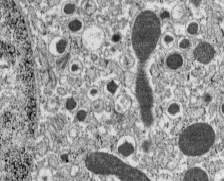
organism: C57BL Mouse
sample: Pancreatic islet